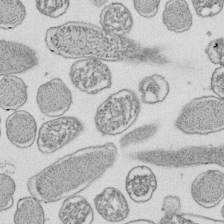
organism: E. coli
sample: Bacterial nucleoid